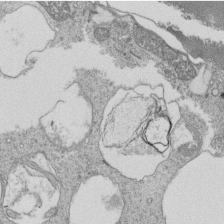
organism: Tetrahymena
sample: Cilia in tetrahymena